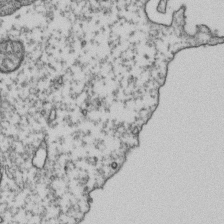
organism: Human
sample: Activated Jurkat CD4+ T cells